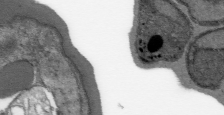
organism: Plasmodium falciparum